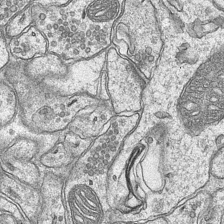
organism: Mouse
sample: CA1 Hippocampus